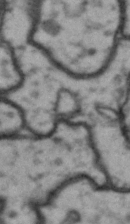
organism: Drosophila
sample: Brain